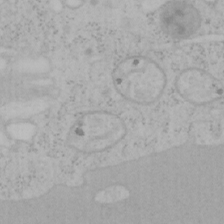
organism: Mouse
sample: OT-I killer T cells with ID8 ovarian cancer cells